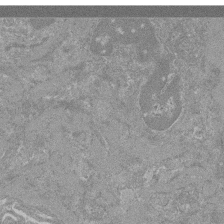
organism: Mouse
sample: Glomerulus